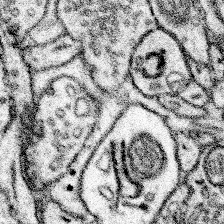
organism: Mouse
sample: Somatosensory cortex neuropil